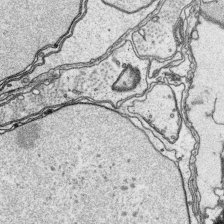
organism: Platynereis dumerilii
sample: Parapodia